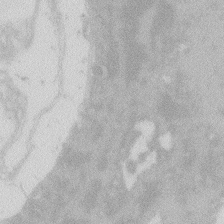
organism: Zebrafish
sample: Macrophage